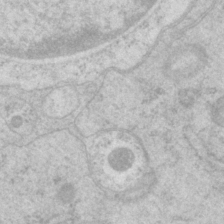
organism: P. pacificus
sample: Pharynx